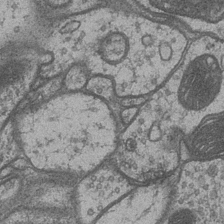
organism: Drosophila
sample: Optic medulla